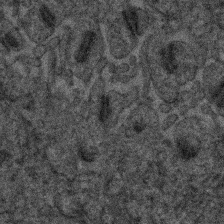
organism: Human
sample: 1205lu cells